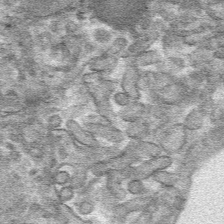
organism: Mouse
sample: Mouse hepatocytes